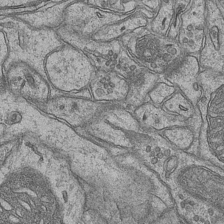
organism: Mouse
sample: CA1 Hippocampus